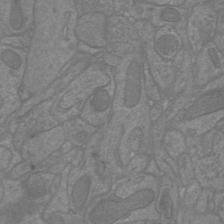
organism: Mouse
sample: Cortical neurons